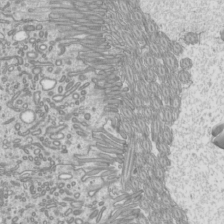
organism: Mouse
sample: Cilia; mouse epididymis